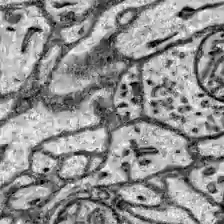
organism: Zebrafish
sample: Brain